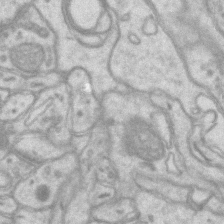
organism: Mouse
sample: CA1 Hippocampus